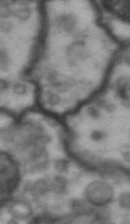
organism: Drosophila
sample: Brain